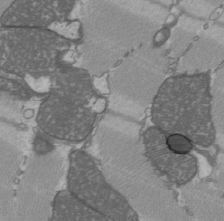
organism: C57BL Mouse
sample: Heart